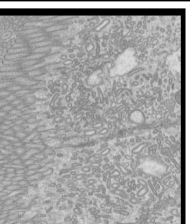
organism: Mouse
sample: Cilia; mouse epididymis